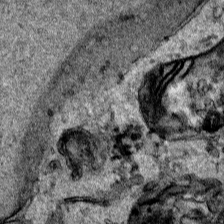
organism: Human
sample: Mitochondria in HCT116 cells